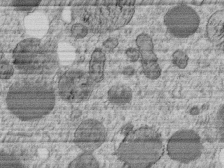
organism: C. elegans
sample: C. elegans embryo early stage